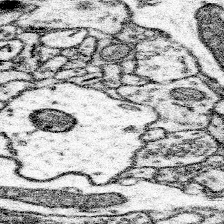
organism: Mouse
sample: Somatosensory cortex neuropil